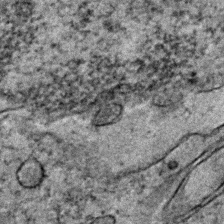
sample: Trachea